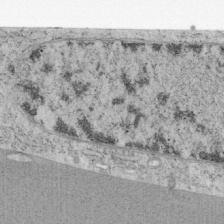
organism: Human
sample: HeLa cells